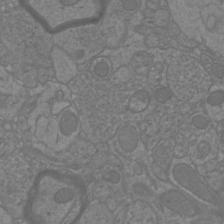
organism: Mouse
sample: Cortical neurons